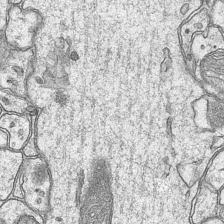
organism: Mouse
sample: CA1 Hippocampus